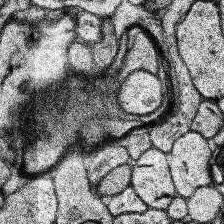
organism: Human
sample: Temporal Lobe